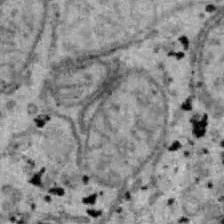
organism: Mouse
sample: Liver from an obese (ob/ob) mouse